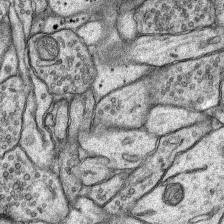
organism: Rat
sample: Hippocampus